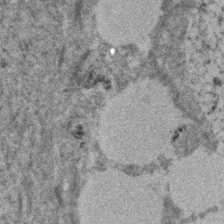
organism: Human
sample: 1205lu cells